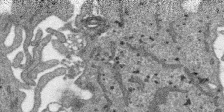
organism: Human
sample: Lung epithelial cells infected with SARS-CoV-2